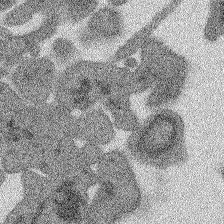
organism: Human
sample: HeLa cells